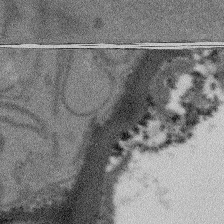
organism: Arabidopsis thaliana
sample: Root tip